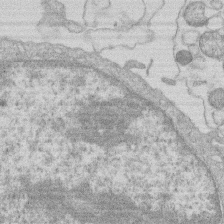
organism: Human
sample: Macrophage cells